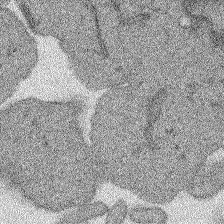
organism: Human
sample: HeLa cells